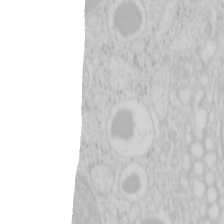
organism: Mouse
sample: Pancreas